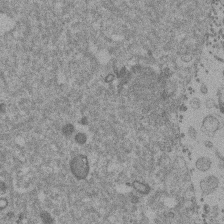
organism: Mouse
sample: Dividing mouse embryo 1 cell stage